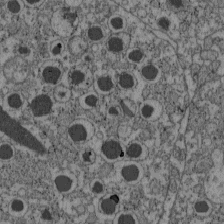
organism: C57BL Mouse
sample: Pancreatic islet